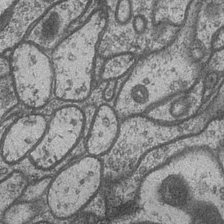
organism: Drosophila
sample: Optic medulla